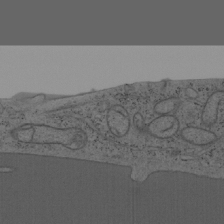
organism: Human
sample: HeLa cells